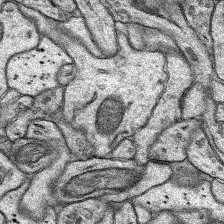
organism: Rat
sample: Hippocampus